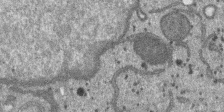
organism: Human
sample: Lung epithelial cells infected with SARS-CoV-2